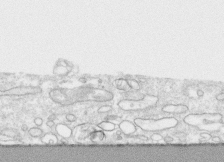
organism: Human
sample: CRL-1474